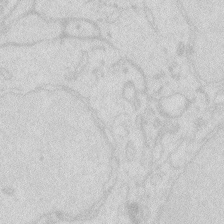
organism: Zebrafish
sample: Macrophage